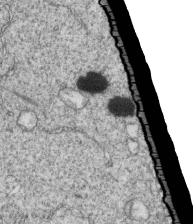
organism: Human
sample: HeLa cell HIV synapse